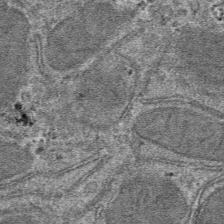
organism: Mouse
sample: Mouse hepatocytes